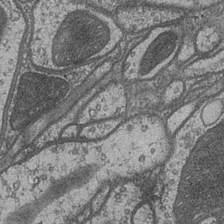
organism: Drosophila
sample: Optic medulla